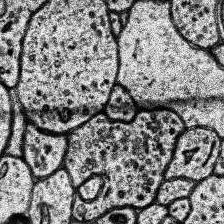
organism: Human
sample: Temporal Lobe